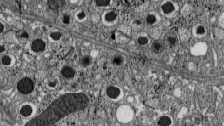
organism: C57BL Mouse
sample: Pancreatic islet